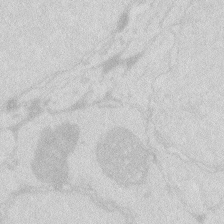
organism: Zebrafish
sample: Macrophage